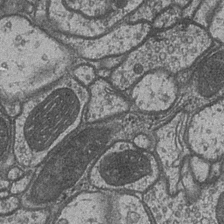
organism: Drosophila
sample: Optic medulla